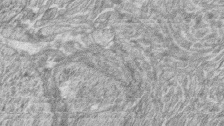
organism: Zebrafish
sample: synaptic ribbons in rod cells and cone cells